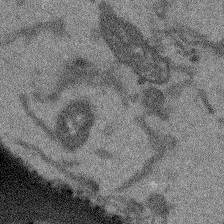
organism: Arabidopsis thaliana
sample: Root tip